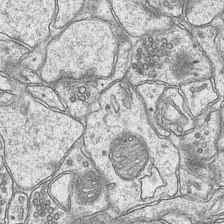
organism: Mouse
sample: CA1 Hippocampus